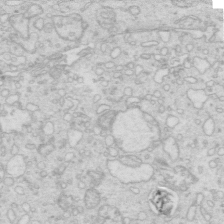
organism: Mouse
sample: Multiciliated cells